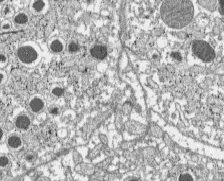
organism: C57BL Mouse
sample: Pancreatic islet